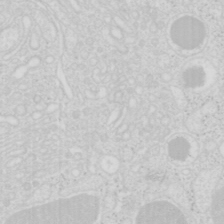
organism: Mouse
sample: Pancreas